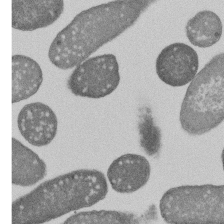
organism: E. coli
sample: Bacterial nucleoid